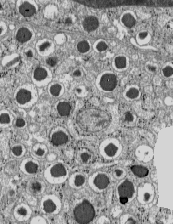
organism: C57BL Mouse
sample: Pancreatic islet